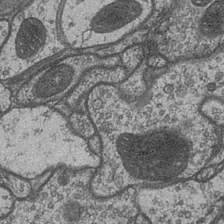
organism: Drosophila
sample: Optic medulla